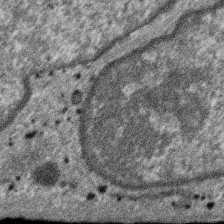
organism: Human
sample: Lung epithelial cells infected with SARS-CoV-2